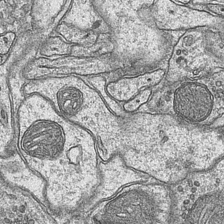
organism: Mouse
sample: CA1 Hippocampus